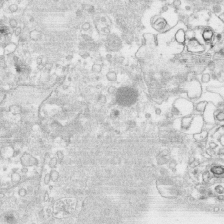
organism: Human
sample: CRL-1474